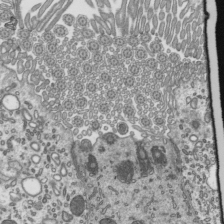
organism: Mouse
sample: Mouse epididymis efferent ductule cilia